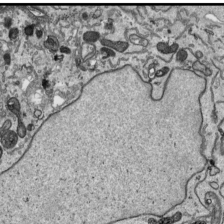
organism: Human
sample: Mitochondria in HCT116 cells